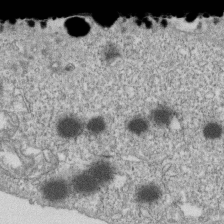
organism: Human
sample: HeLa cell HIV synapse